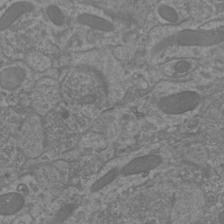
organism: Mouse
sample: Cortical neurons